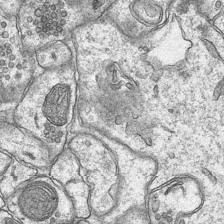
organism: Mouse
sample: CA1 Hippocampus